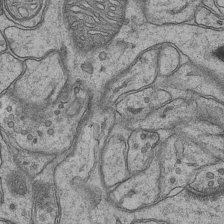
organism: Mouse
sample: CA1 Hippocampus